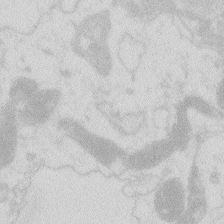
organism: Zebrafish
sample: Macrophage